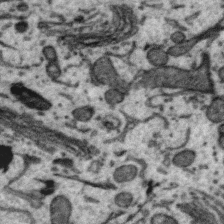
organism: Zebra finch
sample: Brain